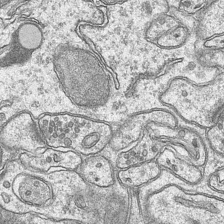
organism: Mouse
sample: CA1 Hippocampus